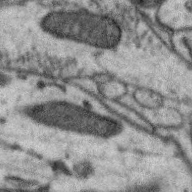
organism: Zebra finch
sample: Brain